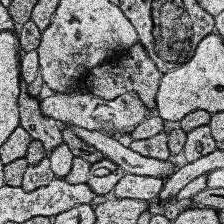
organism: Human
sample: Temporal Lobe